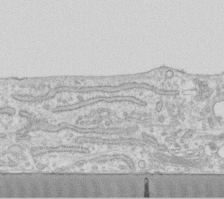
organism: Human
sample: Fibroblast cells